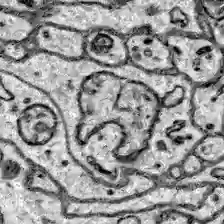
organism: Zebrafish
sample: Brain